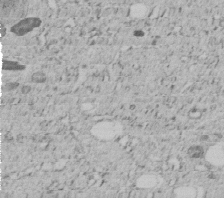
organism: C. elegans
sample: C. elegans embryo early stage